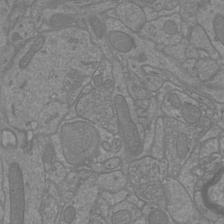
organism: Mouse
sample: Cortical neurons